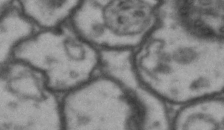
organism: Drosophila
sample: Brain